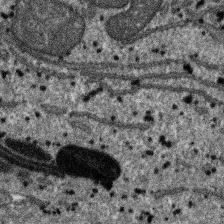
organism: Human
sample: Lung epithelial cells infected with SARS-CoV-2